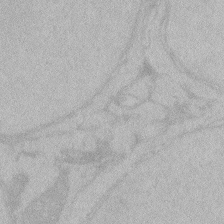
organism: Zebrafish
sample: Macrophage infected with Toxoplasma gondii